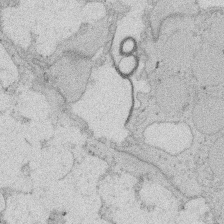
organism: Rat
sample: Salivary granule